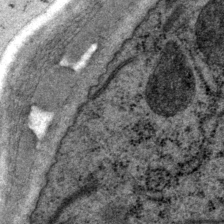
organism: P. pacificus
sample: Pharynx